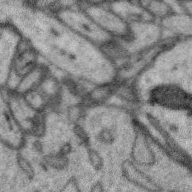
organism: Zebra finch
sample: Brain